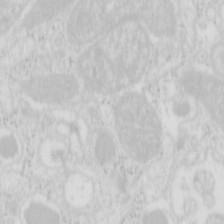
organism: Mouse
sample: Pancreas